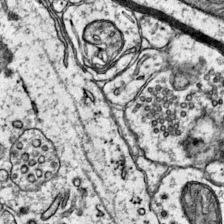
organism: Mouse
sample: Primary visual cortex